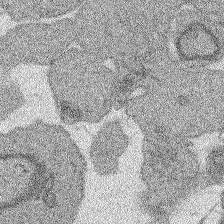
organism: Human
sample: HeLa cells